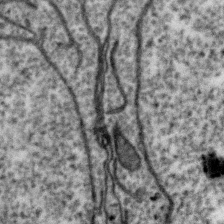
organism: Zebra finch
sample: Brain